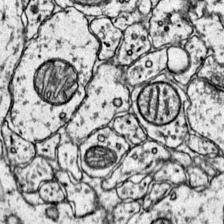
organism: Mouse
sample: Primary visual cortex